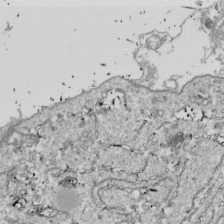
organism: Drosophila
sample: Cell division; meiosis; drosophila spermatocytes